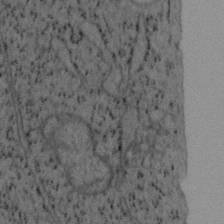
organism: Human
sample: HeLa cells